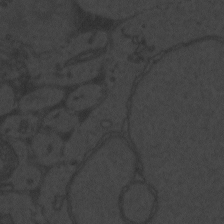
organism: Zebrafish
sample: Macrophage infected with Toxoplasma gondii